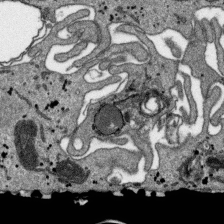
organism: Human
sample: Lung epithelial cells, uninfected (mock) control